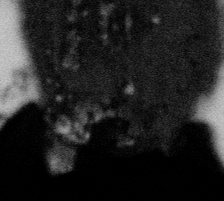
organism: Gemmata obscuriglobus